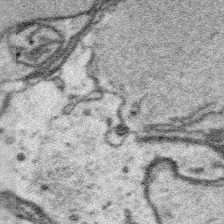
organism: Platynereis dumerilii